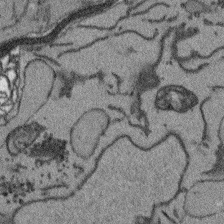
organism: Arabidopsis thaliana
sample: Root tip